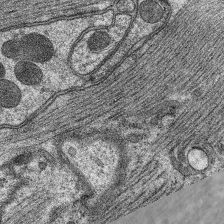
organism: C. elegans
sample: Pharynx